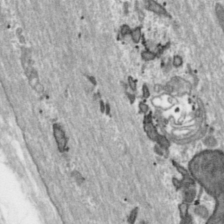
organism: Toxoplasma gondii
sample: Parasites in a vacuole inside a host cell